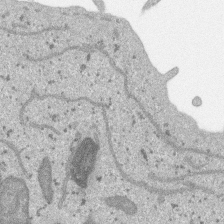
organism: Human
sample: Lung epithelial cells infected with SARS-CoV-2